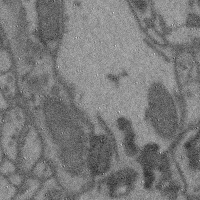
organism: Mouse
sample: Cerebral cortex